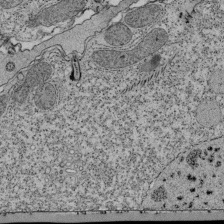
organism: Tetrahymena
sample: Cilia in tetrahymena